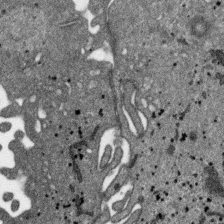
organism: Human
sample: Lung epithelial cells, uninfected (mock) control